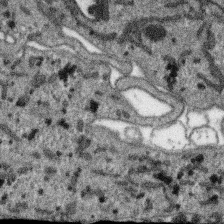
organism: Human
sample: Lung epithelial cells infected with SARS-CoV-2